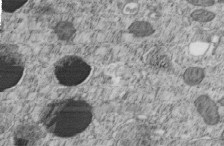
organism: C. elegans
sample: C. elegans embryo early stage